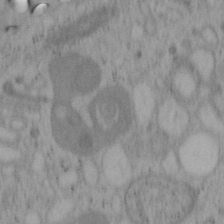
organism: Mouse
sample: OT-I killer T cells with ID8 ovarian cancer cells